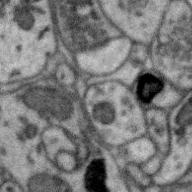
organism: Zebra finch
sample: Brain